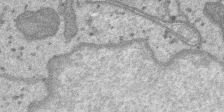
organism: Human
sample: Lung epithelial cells infected with SARS-CoV-2